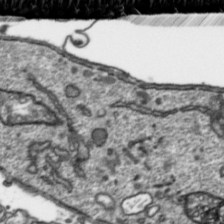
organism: Toxoplasma gondii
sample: Parasites in a vacuole inside a host cell